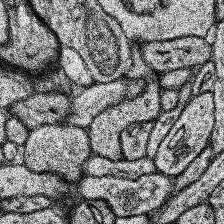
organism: Human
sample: Temporal Lobe